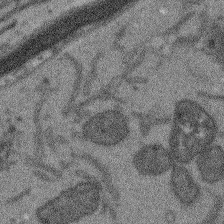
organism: Arabidopsis thaliana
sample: Root tip